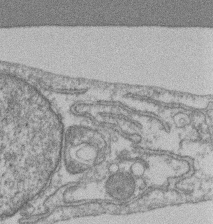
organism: Mouse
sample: T cell stromal cell synapse